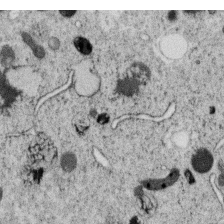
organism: C. elegans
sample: C. elegans oocyte; sperm cells